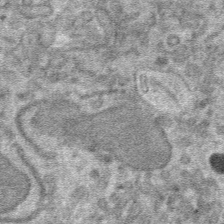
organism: Mouse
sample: Mouse hepatocytes